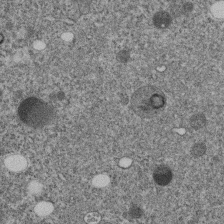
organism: C. elegans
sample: C. elegans embryo early stage